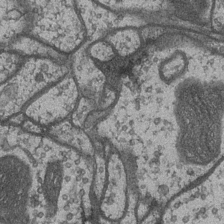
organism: Drosophila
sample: Optic medulla